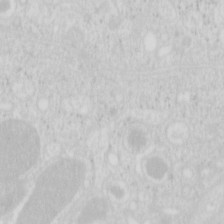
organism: Mouse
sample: Pancreas